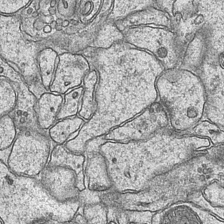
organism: Mouse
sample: CA1 Hippocampus